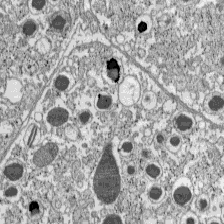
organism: C57BL Mouse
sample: Pancreatic islet